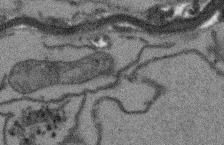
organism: Arabidopsis thaliana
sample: Root tip